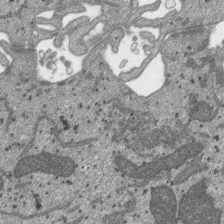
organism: Human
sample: Lung epithelial cells infected with SARS-CoV-2